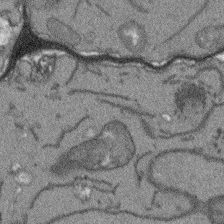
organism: Arabidopsis thaliana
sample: Root tip